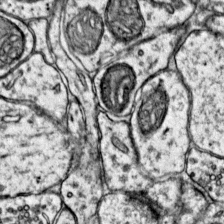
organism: Mouse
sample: Primary visual cortex